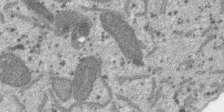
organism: Human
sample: Lung epithelial cells infected with SARS-CoV-2